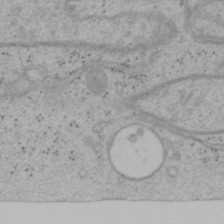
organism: Human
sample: HeLa cells